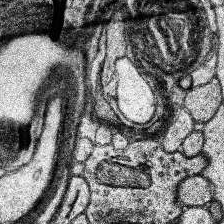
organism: Human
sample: Temporal Lobe